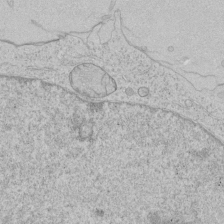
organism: Human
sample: Mitochondria in HCT116 cells